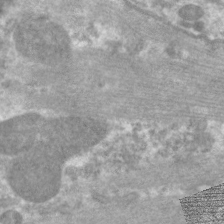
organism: C. elegans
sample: Pharynx